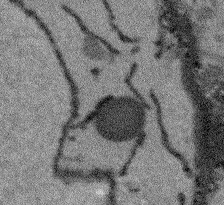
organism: Arabidopsis thaliana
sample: Root tip